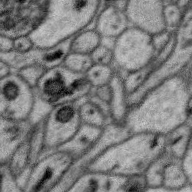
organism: Zebra finch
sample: Brain